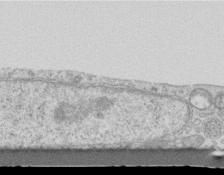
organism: Mouse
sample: Centriole in ependymal cells